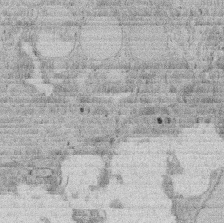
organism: Rat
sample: Salivary granule